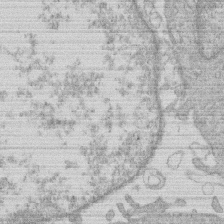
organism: Human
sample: Macrophage cells